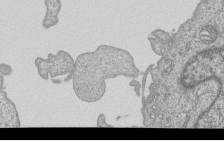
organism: Human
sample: MDA-MB-231 cells